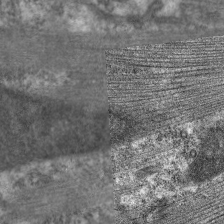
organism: C. elegans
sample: Pharynx